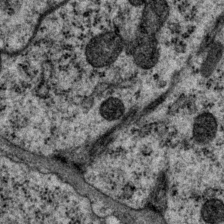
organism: P. pacificus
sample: Pharynx